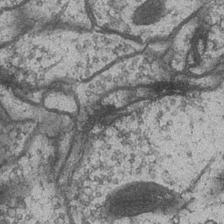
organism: Drosophila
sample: Optic medulla